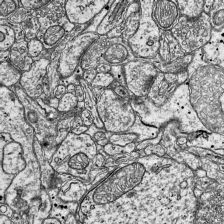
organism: Mouse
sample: Visual Cortex